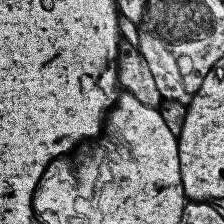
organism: Human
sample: Temporal Lobe